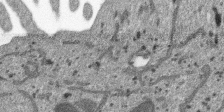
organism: Human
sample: Lung epithelial cells infected with SARS-CoV-2